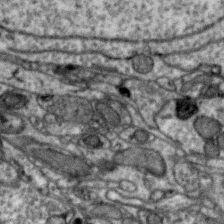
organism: Zebra finch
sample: Brain